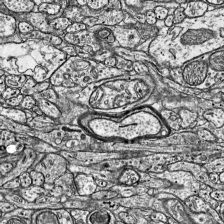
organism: Mouse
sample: Visual Cortex